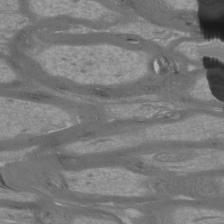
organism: Mouse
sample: Cortical neurons